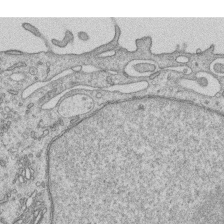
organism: Human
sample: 1205lu cells